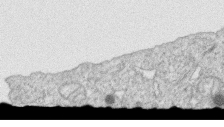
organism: Human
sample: HeLa cell HIV synapse